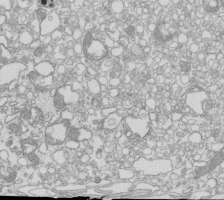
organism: Mouse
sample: Macrophages